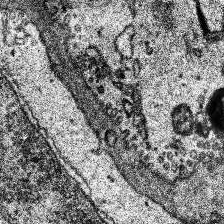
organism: Human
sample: Temporal Lobe